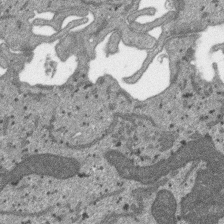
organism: Human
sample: Lung epithelial cells infected with SARS-CoV-2